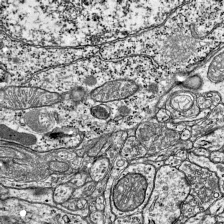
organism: Mouse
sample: Visual Cortex